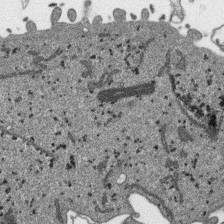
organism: Human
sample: Lung epithelial cells infected with SARS-CoV-2